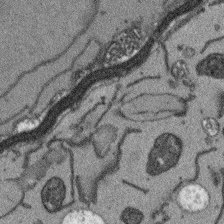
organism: Arabidopsis thaliana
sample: Root tip